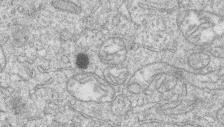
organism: Human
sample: HeLa cell HIV synapse